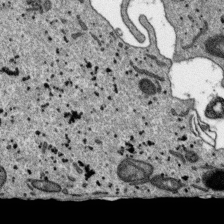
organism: Human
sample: Lung epithelial cells, uninfected (mock) control